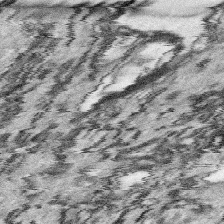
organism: Human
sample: HeLa cells